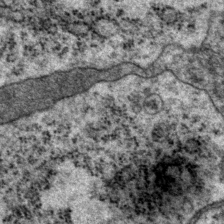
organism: P. pacificus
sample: Pharynx